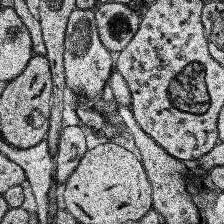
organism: Human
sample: Temporal Lobe